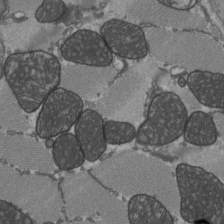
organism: C57BL Mouse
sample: Heart